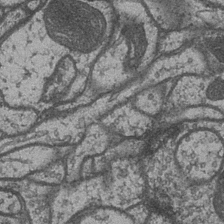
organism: Drosophila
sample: Optic medulla